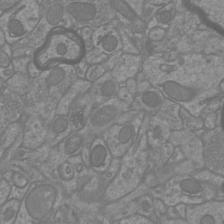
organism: Mouse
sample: Cortical neurons